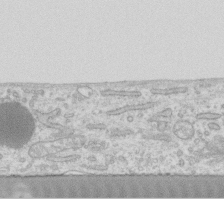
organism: Human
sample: Fibroblast cells